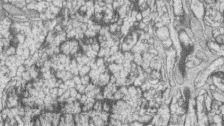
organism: Zebrafish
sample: synaptic ribbons in rod cells and cone cells